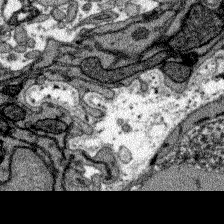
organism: Zebrafish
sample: Larval olfactory bulb